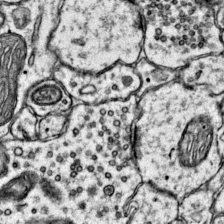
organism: Mouse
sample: Primary visual cortex